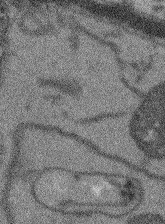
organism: Arabidopsis thaliana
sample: Root tip